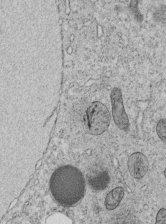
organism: C. elegans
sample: C. elegans embryo early stage